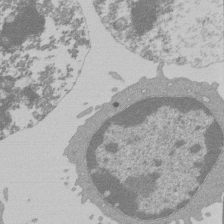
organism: Mouse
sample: Activated Pmel transgenic CD8+ T Cells